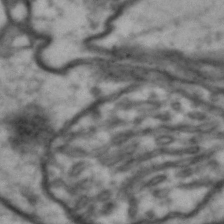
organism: Drosophila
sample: Brain